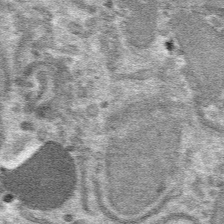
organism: Mouse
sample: Mouse hepatocytes